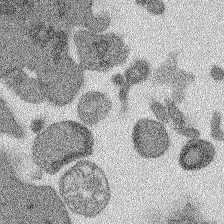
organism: Human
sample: HeLa cells